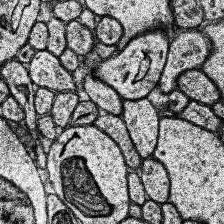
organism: Human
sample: Temporal Lobe